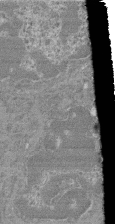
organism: Mouse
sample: Glomerulus